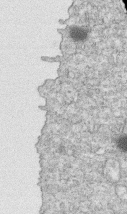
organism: Human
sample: HeLa cell HIV synapse